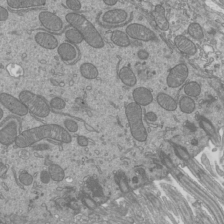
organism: Mouse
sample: Cilia; mouse epididymis